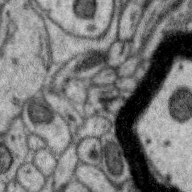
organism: Zebra finch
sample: Brain